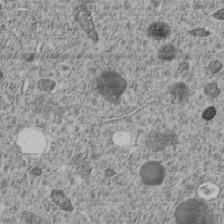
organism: C. elegans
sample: C. elegans embryo early stage